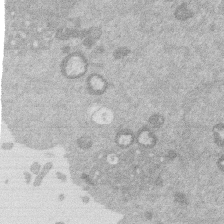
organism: Mouse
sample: Dividing mouse embryo 1 cell stage